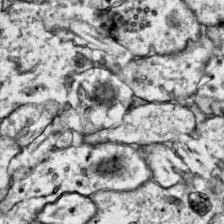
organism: Mouse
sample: Primary visual cortex